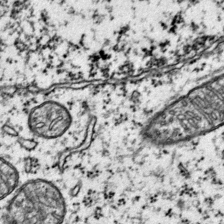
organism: Mouse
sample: Primary visual cortex